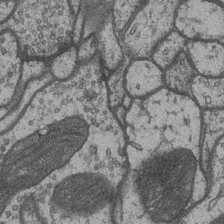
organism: Drosophila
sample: Optic medulla